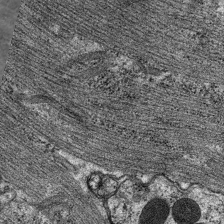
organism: C. elegans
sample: Pharynx